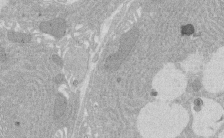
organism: Rat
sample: Salivary granule